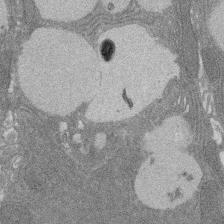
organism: Rat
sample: Salivary granule